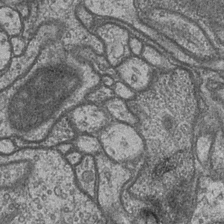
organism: Drosophila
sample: Optic medulla